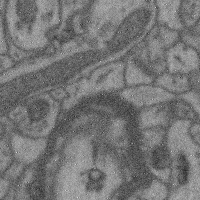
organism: Mouse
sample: Cerebral cortex